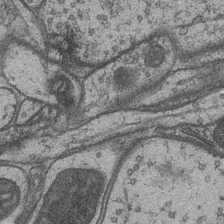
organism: Drosophila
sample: Optic medulla